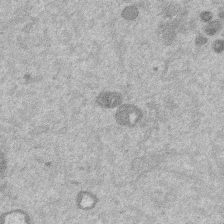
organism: Mouse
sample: Dividing mouse embryo 1 cell stage